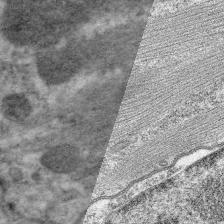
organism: C. elegans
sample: Pharynx